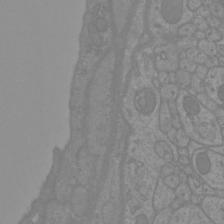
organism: Mouse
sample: Cortical neurons